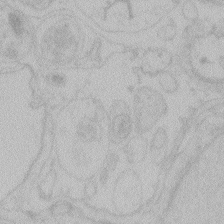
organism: Zebrafish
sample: Macrophage infected with Toxoplasma gondii